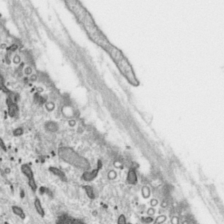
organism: Toxoplasma gondii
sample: Parasites in a vacuole inside a host cell